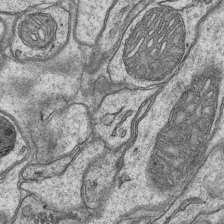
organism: Mouse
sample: CA1 Hippocampus